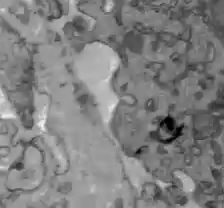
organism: C57BL Mouse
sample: Liver